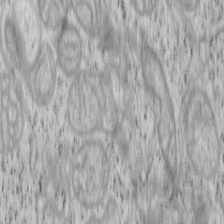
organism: Human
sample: HeLa cells